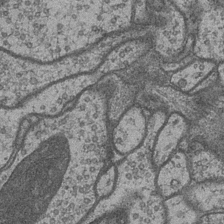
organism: Drosophila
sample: Optic medulla